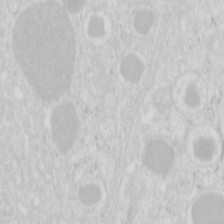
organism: Mouse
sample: Pancreas